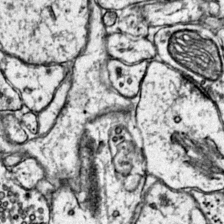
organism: Mouse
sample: Primary visual cortex